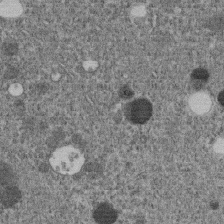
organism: C. elegans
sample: C. elegans embryo early stage